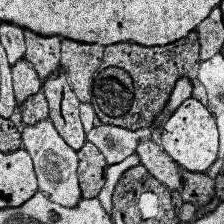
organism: Human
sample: Temporal Lobe